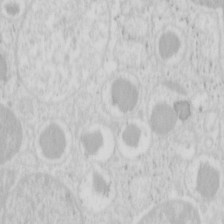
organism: Mouse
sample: Pancreas